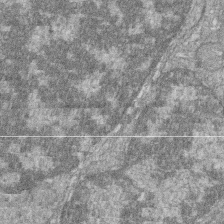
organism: Zebrafish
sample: Cilia; retinal pigment epithelium